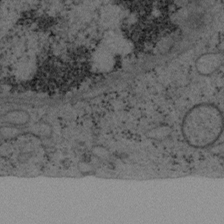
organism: Human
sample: HeLa cells